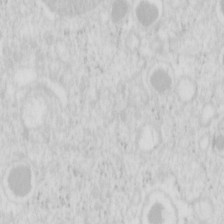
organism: Mouse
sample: Pancreas